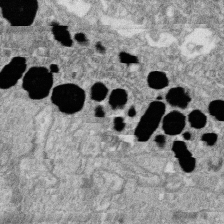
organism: Zebrafish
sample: Cilia; retinal pigment epithelium